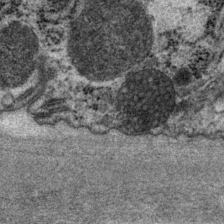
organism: P. pacificus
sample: Pharynx